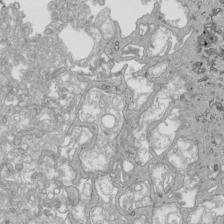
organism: Human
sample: Mitochondria in HCT116 cells